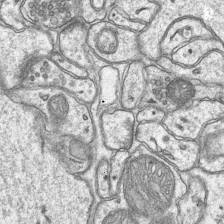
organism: Mouse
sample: CA1 Hippocampus